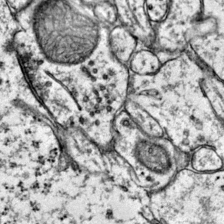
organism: Mouse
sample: Primary visual cortex